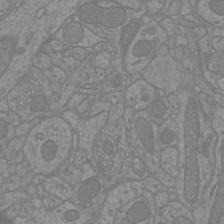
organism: Mouse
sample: Cortical neurons